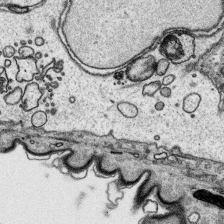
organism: Platynereis dumerilii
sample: Parapodia